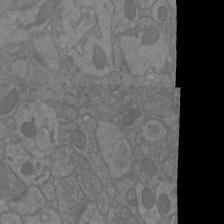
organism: Mouse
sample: Cortical neurons